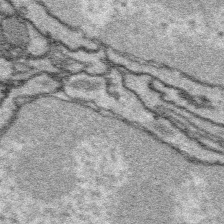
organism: Platynereis dumerilii